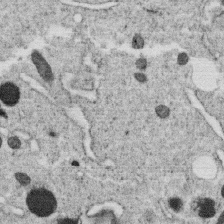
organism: C. elegans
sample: C. elegans oocyte; sperm cells